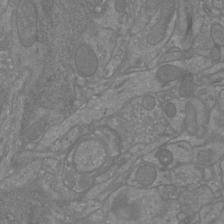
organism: Mouse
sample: Cortical neurons